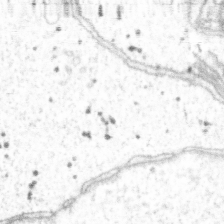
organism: Human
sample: HeLa cells